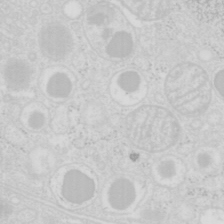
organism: Mouse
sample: Pancreas